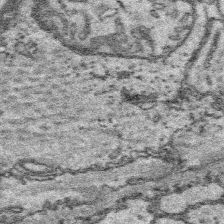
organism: Platynereis dumerilii